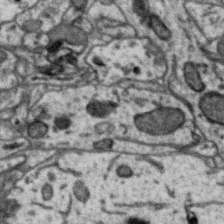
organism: Zebra finch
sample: Brain